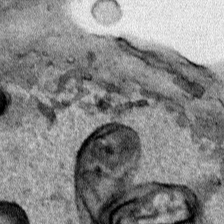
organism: Human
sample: Mitochondria in HCT116 cells